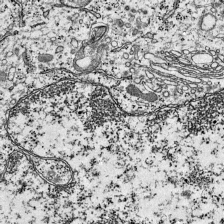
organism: Mouse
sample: Visual Cortex